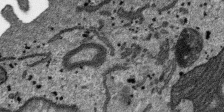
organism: Human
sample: Lung epithelial cells, uninfected (mock) control